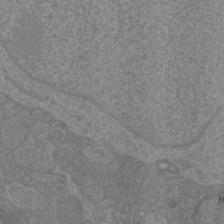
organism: Mouse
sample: Cortical neurons